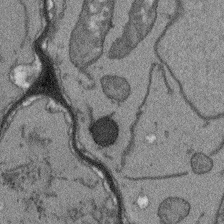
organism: Arabidopsis thaliana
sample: Root tip